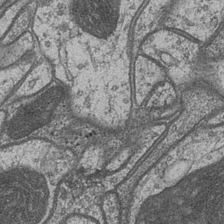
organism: Drosophila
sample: Optic medulla